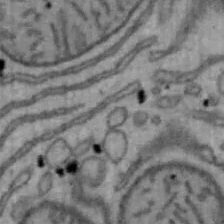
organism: Mouse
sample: Liver